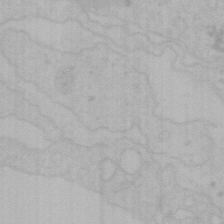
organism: Mouse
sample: Choroid plexus